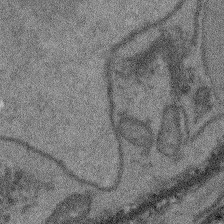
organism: Arabidopsis thaliana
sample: Root tip